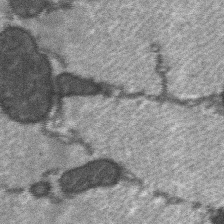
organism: C57BL Mouse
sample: Soleus